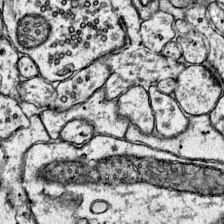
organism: Mouse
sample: Primary visual cortex